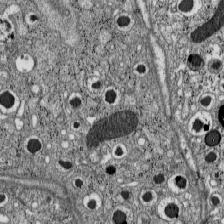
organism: C57BL Mouse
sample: Pancreatic islet